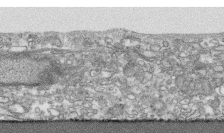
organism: Human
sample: CRL-1474